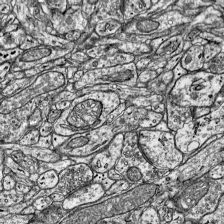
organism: Mouse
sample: Visual Cortex